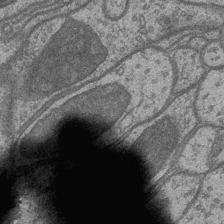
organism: Drosophila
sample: Optic medulla